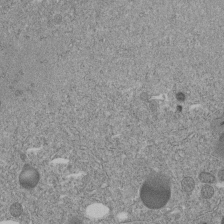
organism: C. elegans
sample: C. elegans embryo early stage